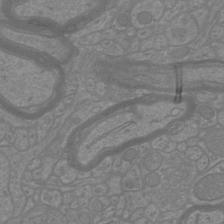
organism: Mouse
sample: Cortical neurons